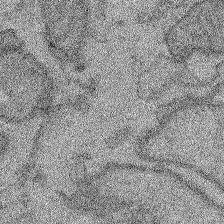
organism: Human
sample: HeLa cells